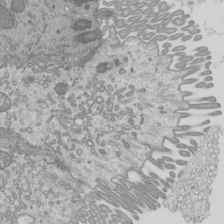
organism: Mouse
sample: Cilia; mouse epididymis